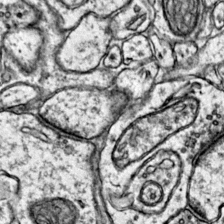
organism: Mouse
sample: Primary visual cortex